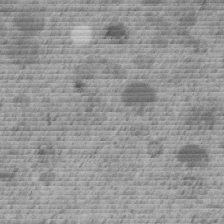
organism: C. elegans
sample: C. elegans embryo early stage